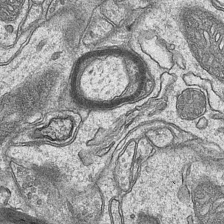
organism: Mouse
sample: CA1 Hippocampus